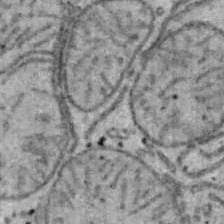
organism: Mouse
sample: Liver from an obese (ob/ob) mouse